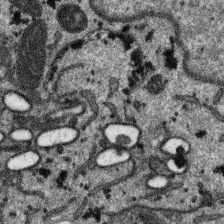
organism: Human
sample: Lung epithelial cells infected with SARS-CoV-2